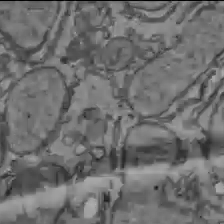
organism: C57BL Mouse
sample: Liver